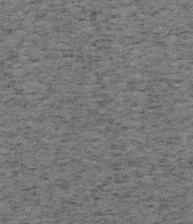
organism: Mouse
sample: OT-I killer T cells with ID8 ovarian cancer cells